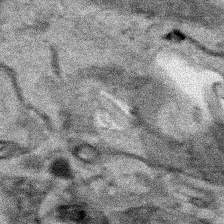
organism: Human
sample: Mitochondria in HCT116 cells